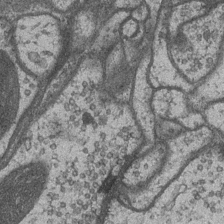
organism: Drosophila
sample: Optic medulla